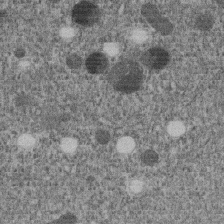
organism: C. elegans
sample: C. elegans embryo early stage